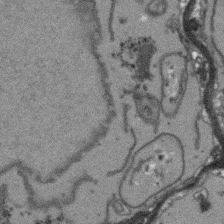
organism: Arabidopsis thaliana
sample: Root tip